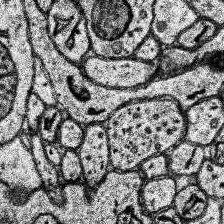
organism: Human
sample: Temporal Lobe